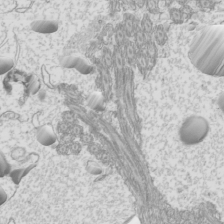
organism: Mouse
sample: Cilia; mouse epididymis